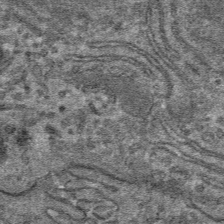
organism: Mouse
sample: Mouse hepatocytes